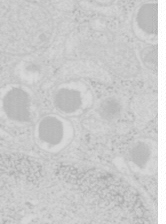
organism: Mouse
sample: Pancreas